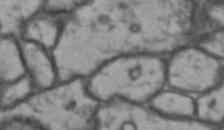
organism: Drosophila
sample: Brain